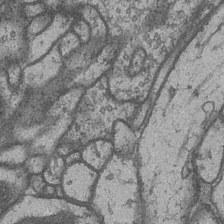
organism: Drosophila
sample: Optic medulla